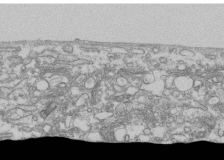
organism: Human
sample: Fibroblast cells